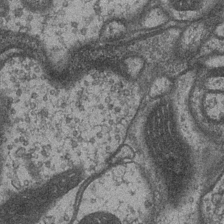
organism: Drosophila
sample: Optic medulla